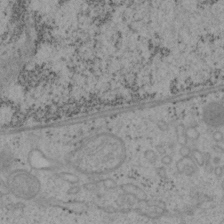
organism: Human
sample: HeLa cells